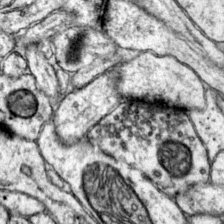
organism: Mouse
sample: Primary visual cortex